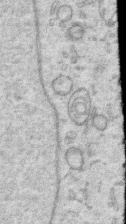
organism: Human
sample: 1205lu cells